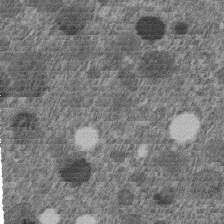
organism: C. elegans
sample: C. elegans embryo early stage